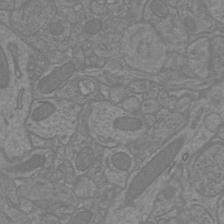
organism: Mouse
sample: Cortical neurons